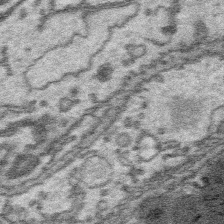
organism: Platynereis dumerilii